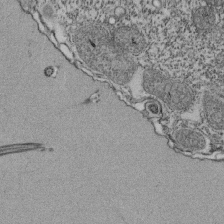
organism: Tetrahymena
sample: Cilia in tetrahymena